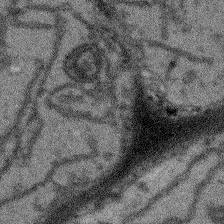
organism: Arabidopsis thaliana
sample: Root tip